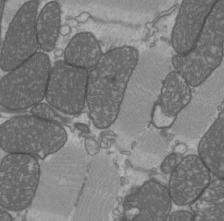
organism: C57BL Mouse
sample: Heart